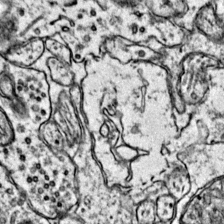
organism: Mouse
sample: Primary visual cortex